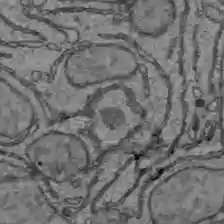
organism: C57BL Mouse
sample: Liver